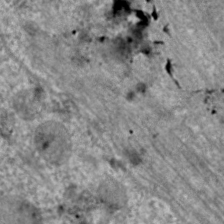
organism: C. elegans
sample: Pharynx